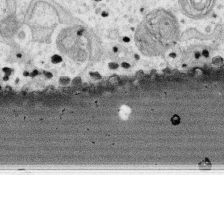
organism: Human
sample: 1205lu cells